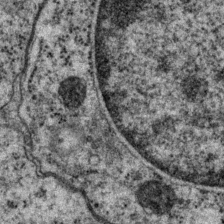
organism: P. pacificus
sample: Pharynx